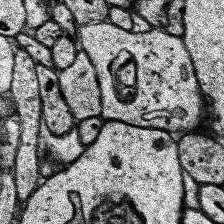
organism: Human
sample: Temporal Lobe